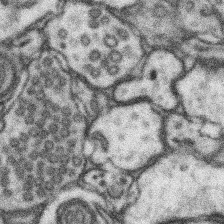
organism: Mouse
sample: Somatosensory cortex neuropil